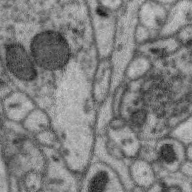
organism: Zebra finch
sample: Brain